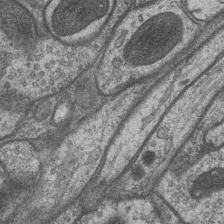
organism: Drosophila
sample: Optic medulla